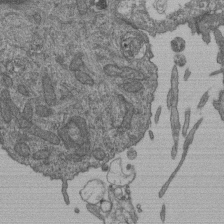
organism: Human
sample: Retinal organoid Rod and Cone cells